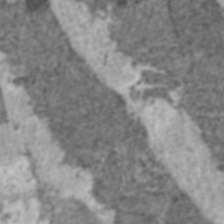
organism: C57BL Mouse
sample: Heart